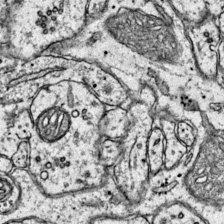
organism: Mouse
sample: Primary visual cortex